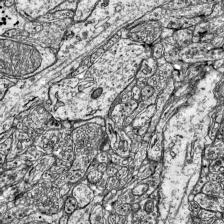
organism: Mouse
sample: Visual Cortex